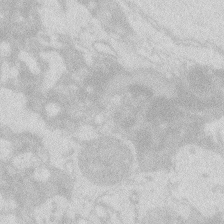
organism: Zebrafish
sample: Macrophage